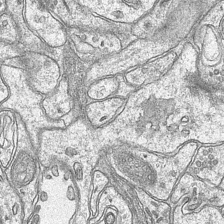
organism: Mouse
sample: CA1 Hippocampus